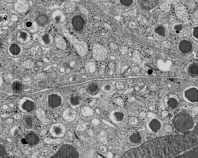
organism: C57BL Mouse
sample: Pancreatic islet